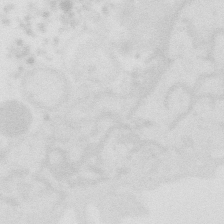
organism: Human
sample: HeLa cells